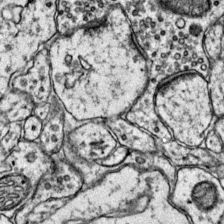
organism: Mouse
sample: Primary visual cortex